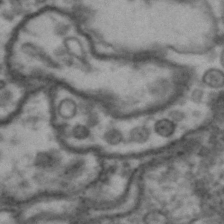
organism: Drosophila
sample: Brain